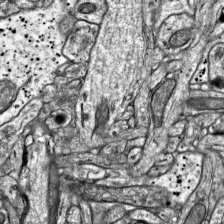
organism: Mouse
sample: Visual Cortex